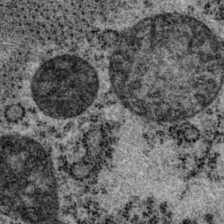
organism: P. pacificus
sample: Pharynx